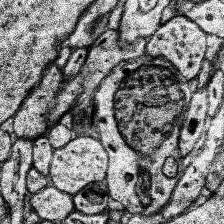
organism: Human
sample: Temporal Lobe